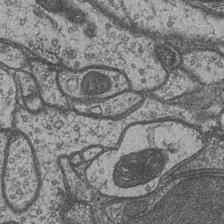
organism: Drosophila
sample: Optic medulla